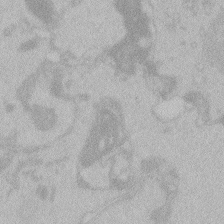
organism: Zebrafish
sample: Macrophage infected with Toxoplasma gondii